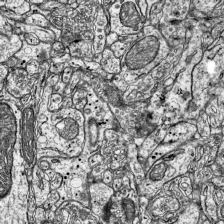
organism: Mouse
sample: Visual Cortex